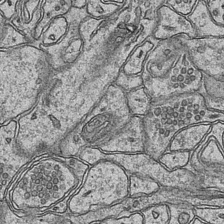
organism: Mouse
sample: CA1 Hippocampus